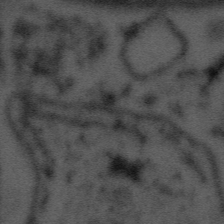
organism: Tuwongella immobilis